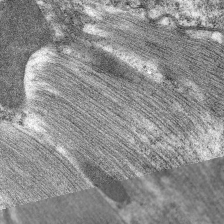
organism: C. elegans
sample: Pharynx